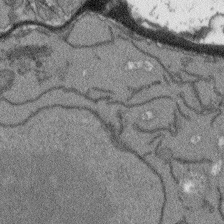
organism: Arabidopsis thaliana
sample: Root tip